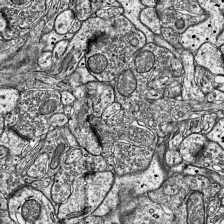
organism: Mouse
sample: Visual Cortex